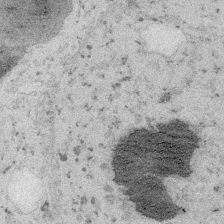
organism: Embia sp.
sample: Silk gland